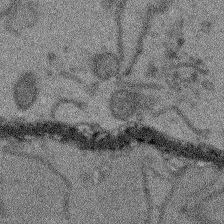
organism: Arabidopsis thaliana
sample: Root tip